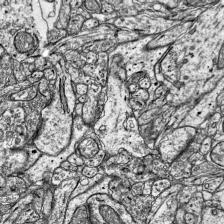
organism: Mouse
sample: Visual Cortex